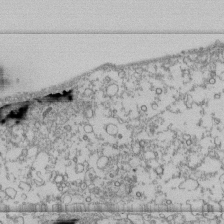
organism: Human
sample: Fibroblast cells